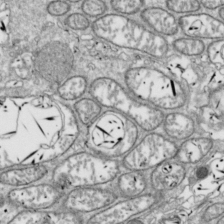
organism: Drosophila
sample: Cell division; meiosis; drosophila spermatocytes